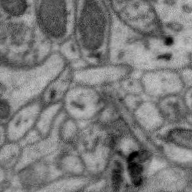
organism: Zebra finch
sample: Brain